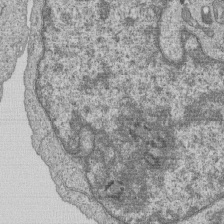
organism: Human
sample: MDA-MB-231 cells